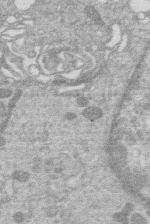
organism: Human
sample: Macrophage cells